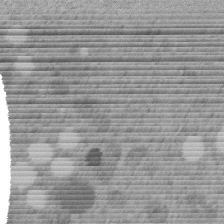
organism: C. elegans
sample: C. elegans embryo early stage